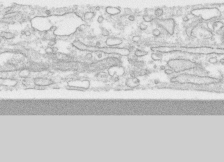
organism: Human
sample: CRL-1474